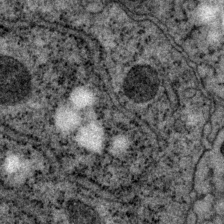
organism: P. pacificus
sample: Pharynx